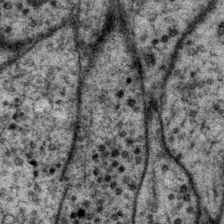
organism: P. pacificus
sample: Pharynx